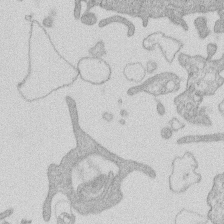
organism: Human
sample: Macrophage cells